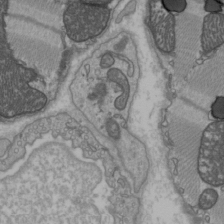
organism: C57BL Mouse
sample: Heart